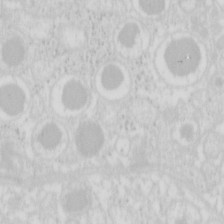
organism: Mouse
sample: Pancreas